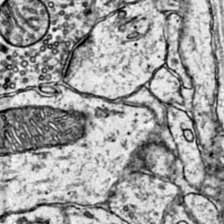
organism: Mouse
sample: Primary visual cortex